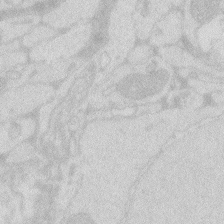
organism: Zebrafish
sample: Macrophage